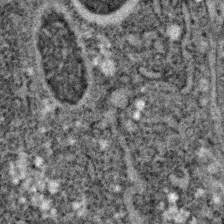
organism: C. elegans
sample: C. elegans embryo